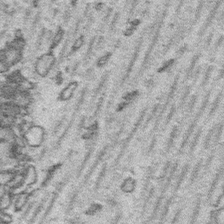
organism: Platynereis dumerilii